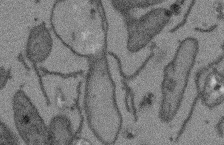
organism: Arabidopsis thaliana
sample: Root tip